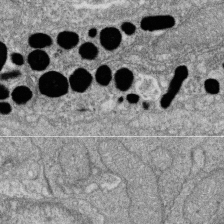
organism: Zebrafish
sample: Cilia; retinal pigment epithelium